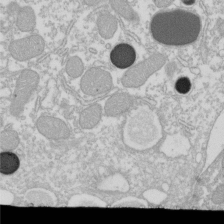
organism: Xenopus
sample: Cilia; centrioles in frog embryo cells